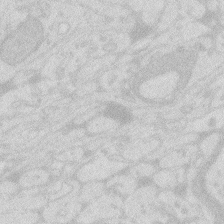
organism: Zebrafish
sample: Macrophage